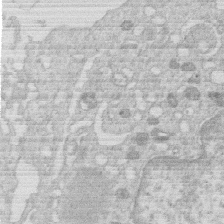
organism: Human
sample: Macrophage cells